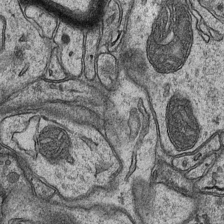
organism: Mouse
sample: CA1 Hippocampus